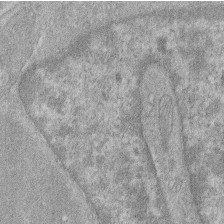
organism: Human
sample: Macrophage cells